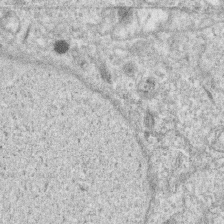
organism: Human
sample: HeLa cell HIV synapse